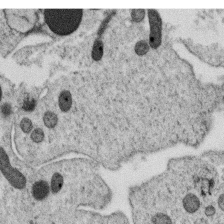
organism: C. elegans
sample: C. elegans oocyte; sperm cells